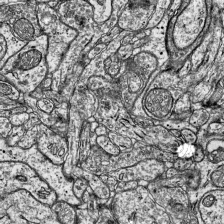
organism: Mouse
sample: Visual Cortex